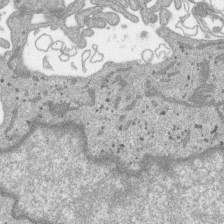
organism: Human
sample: Lung epithelial cells infected with SARS-CoV-2